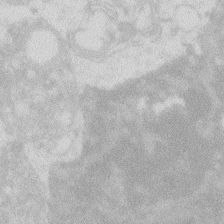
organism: Zebrafish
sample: Macrophage